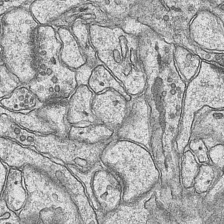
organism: Mouse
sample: CA1 Hippocampus